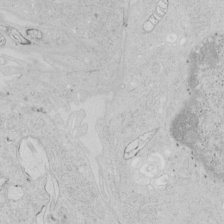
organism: Human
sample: Mitochondria in HCT116 cells